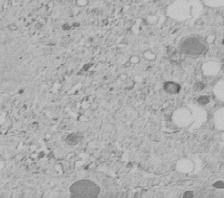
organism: C. elegans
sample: C. elegans embryo early stage